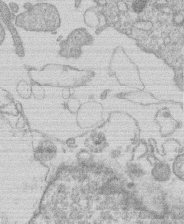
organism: Human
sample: Macrophage cells